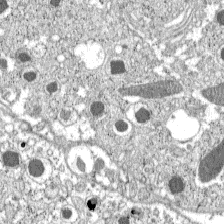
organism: C57BL Mouse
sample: Pancreatic islet